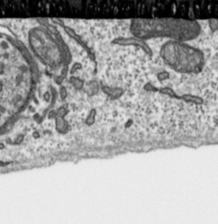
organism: Toxoplasma gondii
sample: Parasites in a vacuole inside a host cell